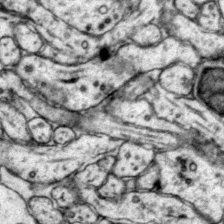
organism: Mouse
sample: Primary visual cortex